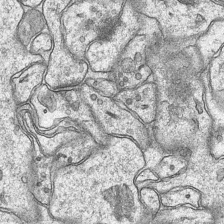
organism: Mouse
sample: CA1 Hippocampus